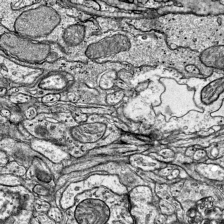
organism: Mouse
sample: Visual Cortex